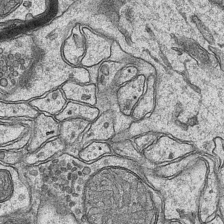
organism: Mouse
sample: CA1 Hippocampus